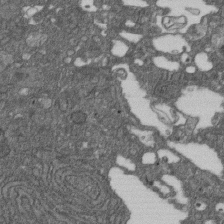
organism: Drosophila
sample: Nephrocyte